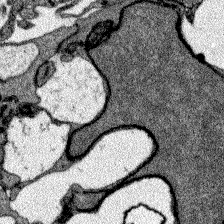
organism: Zebrafish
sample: Larval olfactory bulb